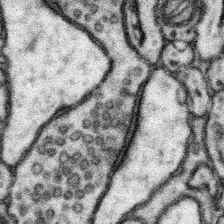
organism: Mouse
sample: Somatosensory cortex neuropil